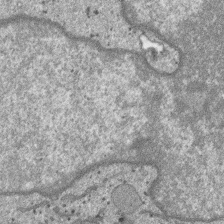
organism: Human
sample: Lung epithelial cells infected with SARS-CoV-2